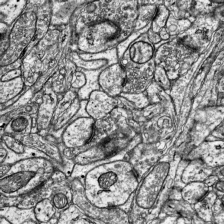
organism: Mouse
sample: Visual Cortex